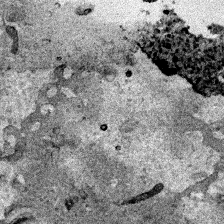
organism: Human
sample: Mitochondria in HCT116 cells